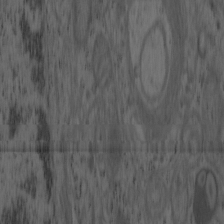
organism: Human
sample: HeLa cells